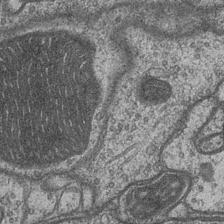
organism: Drosophila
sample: Optic medulla